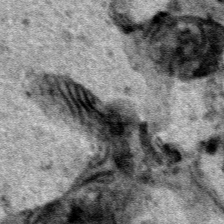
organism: Human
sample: Mitochondria in HCT116 cells